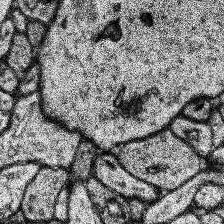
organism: Human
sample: Temporal Lobe